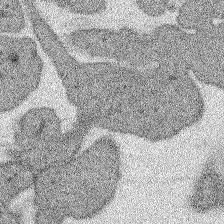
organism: Human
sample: HeLa cells